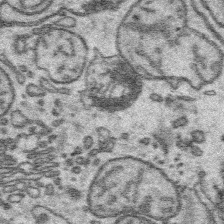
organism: Platynereis dumerilii